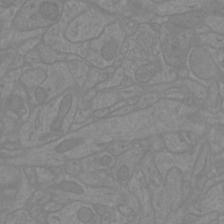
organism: Mouse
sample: Cortical neurons